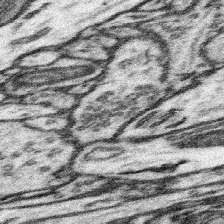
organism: Mouse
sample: Somatosensory cortex neuropil